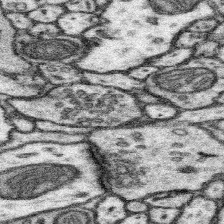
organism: Mouse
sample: Somatosensory cortex neuropil